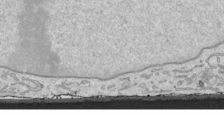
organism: Human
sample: Mitochondria in HCT116 cells